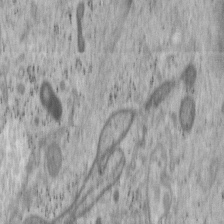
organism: Human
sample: HeLa cells